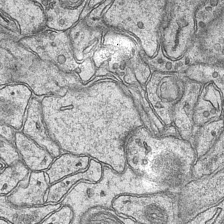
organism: Mouse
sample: CA1 Hippocampus